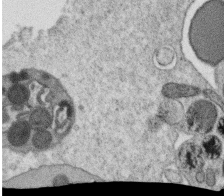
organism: C. elegans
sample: C. elegans oocyte; sperm cells